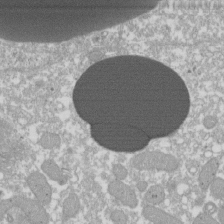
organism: Xenopus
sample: Cilia; centrioles in frog embryo cells